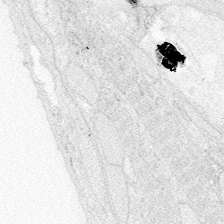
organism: Zebrafish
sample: Whole-Brain